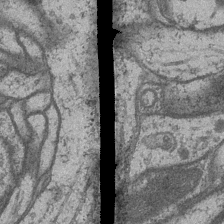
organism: Drosophila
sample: Optic medulla